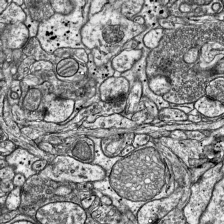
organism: Mouse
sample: Visual Cortex